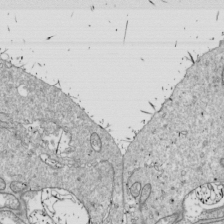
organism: Drosophila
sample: Cell division; meiosis; drosophila spermatocytes